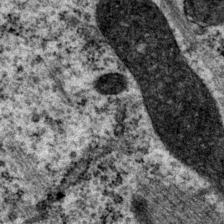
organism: P. pacificus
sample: Pharynx